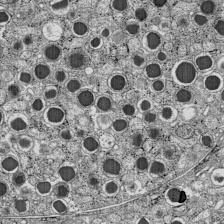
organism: C57BL Mouse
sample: Pancreatic islet